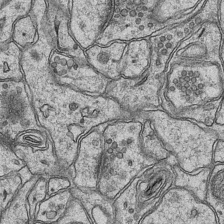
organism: Mouse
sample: CA1 Hippocampus